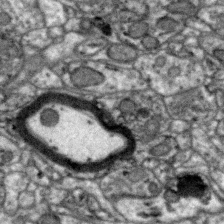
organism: Zebra finch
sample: Brain